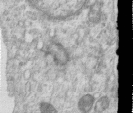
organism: Human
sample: Centriole in RPE cells